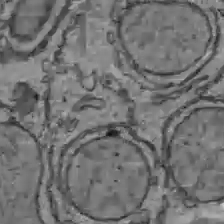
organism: C57BL Mouse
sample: Liver